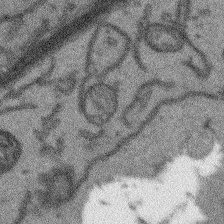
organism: Arabidopsis thaliana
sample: Root tip